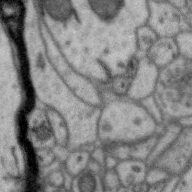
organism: Zebra finch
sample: Brain